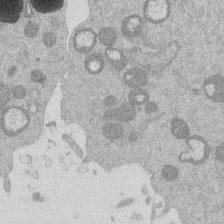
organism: Mouse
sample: Dividing mouse embryo 1 cell stage